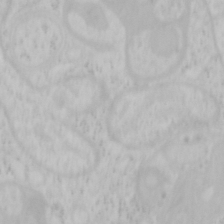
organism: Mouse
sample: OT-I killer T cells with ID8 ovarian cancer cells